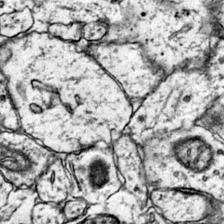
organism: Mouse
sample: Primary visual cortex